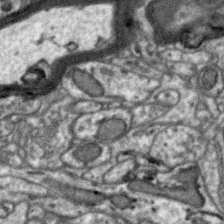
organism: Zebra finch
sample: Brain